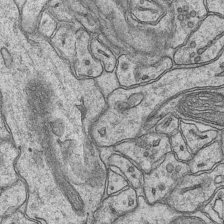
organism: Mouse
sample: CA1 Hippocampus